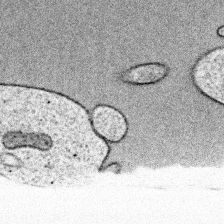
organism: Human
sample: HeLa cells